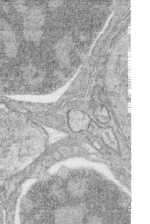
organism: Zebrafish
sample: synaptic ribbons in rod cells and cone cells